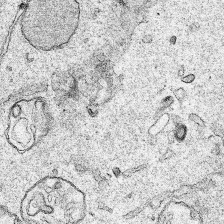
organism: Human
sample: Mitochondria in HCT116 cells